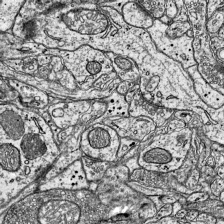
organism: Mouse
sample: Visual Cortex